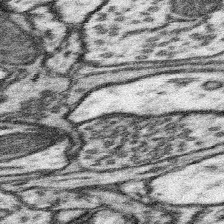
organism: Mouse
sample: Somatosensory cortex neuropil